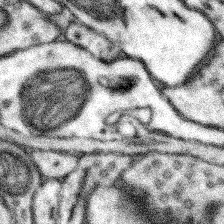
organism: Mouse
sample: Somatosensory cortex neuropil